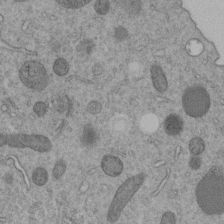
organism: C. elegans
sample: C. elegans embryo early stage